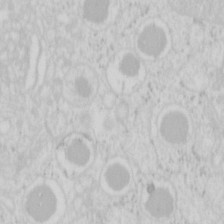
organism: Mouse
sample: Pancreas